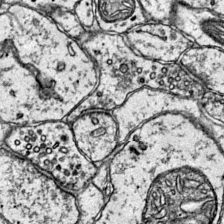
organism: Mouse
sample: Primary visual cortex